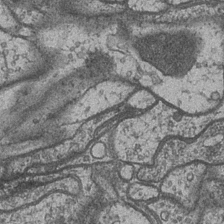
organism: Drosophila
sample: Optic medulla